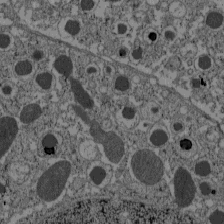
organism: C57BL Mouse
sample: Pancreatic islet